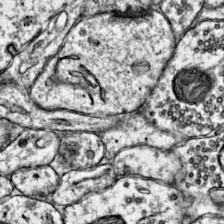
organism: Mouse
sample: Primary visual cortex